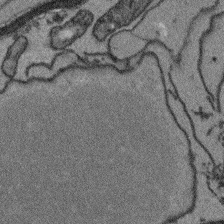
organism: Arabidopsis thaliana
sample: Root tip